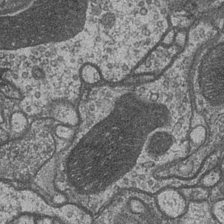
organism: Drosophila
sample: Optic medulla